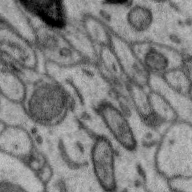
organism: Zebra finch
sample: Brain